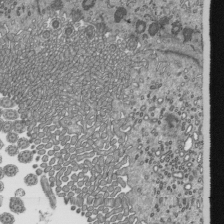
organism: Mouse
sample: Mouse epididymis efferent ductule cilia